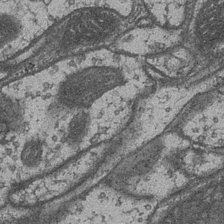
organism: Drosophila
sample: Optic medulla